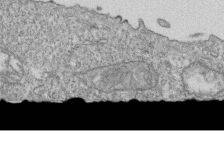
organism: Human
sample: HeLa cell HIV synapse